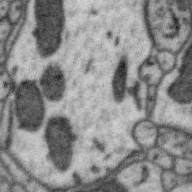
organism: Zebra finch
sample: Brain